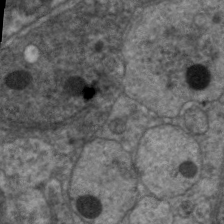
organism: C. elegans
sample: Pharynx